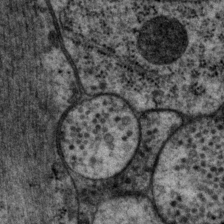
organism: P. pacificus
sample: Pharynx